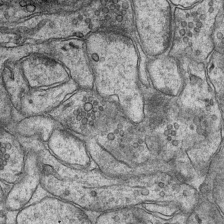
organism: Mouse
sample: CA1 Hippocampus